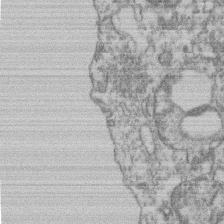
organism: Mouse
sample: T cell stromal cell synapse